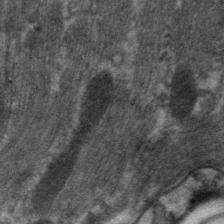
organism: C. elegans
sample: Pharynx